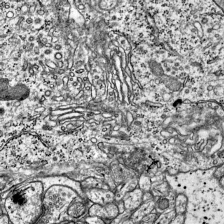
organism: Mouse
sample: Visual Cortex